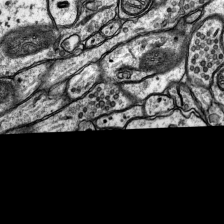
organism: Rat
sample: Hippocampus